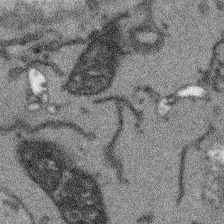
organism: Arabidopsis thaliana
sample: Root tip